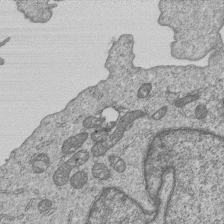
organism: Human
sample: MDA-MB-231 cells